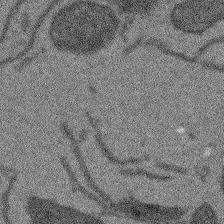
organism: Arabidopsis thaliana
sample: Root tip